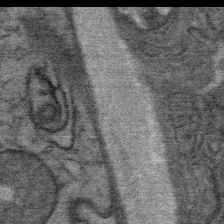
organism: Mouse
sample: Mouse Salivary gland